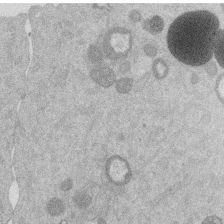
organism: Mouse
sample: Dividing mouse embryo 1 cell stage